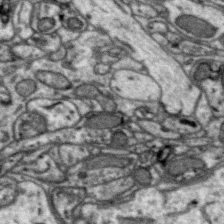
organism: Zebra finch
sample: Brain